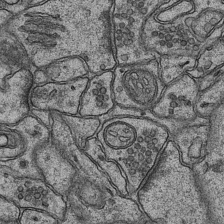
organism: Mouse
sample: CA1 Hippocampus